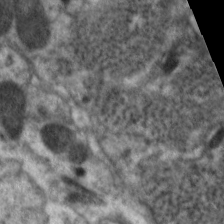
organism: C. elegans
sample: Pharynx